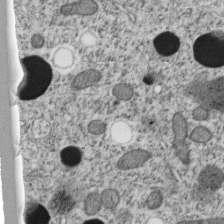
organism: C. elegans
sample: C. elegans embryo early stage